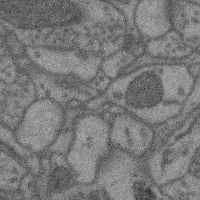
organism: Mouse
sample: Cerebral cortex